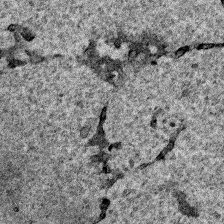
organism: Human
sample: Mitochondria in HCT116 cells